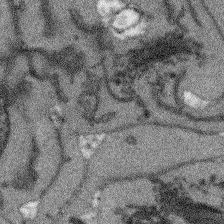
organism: Arabidopsis thaliana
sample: Root tip